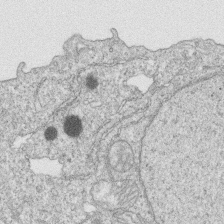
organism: Human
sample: HeLa cell HIV synapse